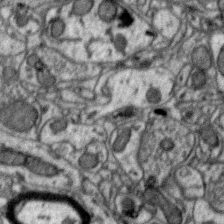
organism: Zebra finch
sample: Brain